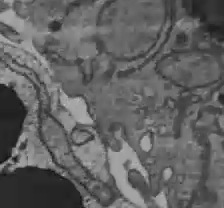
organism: C57BL Mouse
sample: Liver